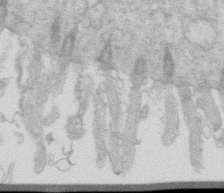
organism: Mouse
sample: Multiciliated cells